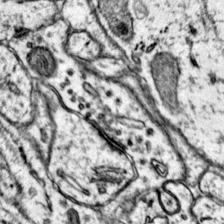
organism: Mouse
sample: Primary visual cortex